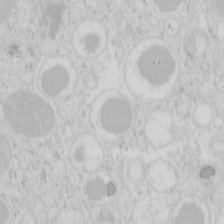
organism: Mouse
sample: Pancreas